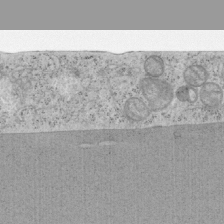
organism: Human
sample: HeLa cells